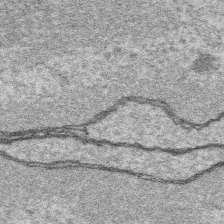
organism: Platynereis dumerilii